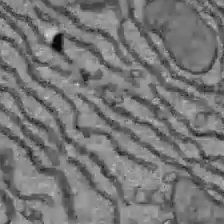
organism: C57BL Mouse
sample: Liver